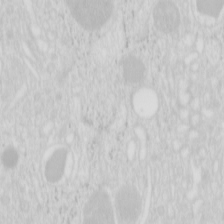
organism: Mouse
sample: Pancreas